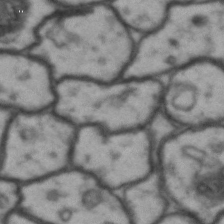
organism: Drosophila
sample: Brain